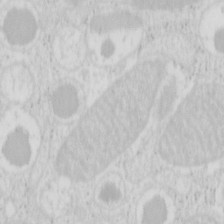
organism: Mouse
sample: Pancreas